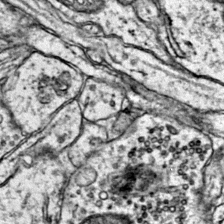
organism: Mouse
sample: Primary visual cortex